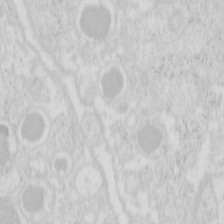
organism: Mouse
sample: Pancreas